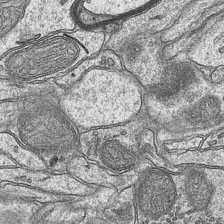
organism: Mouse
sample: CA1 Hippocampus